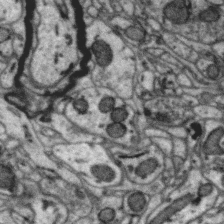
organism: Zebra finch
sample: Brain